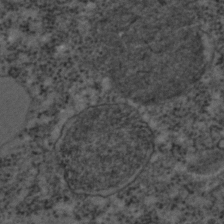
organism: C. elegans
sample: C. elegans embryo